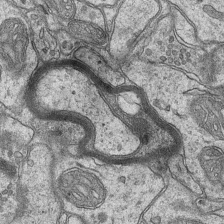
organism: Mouse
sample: CA1 Hippocampus